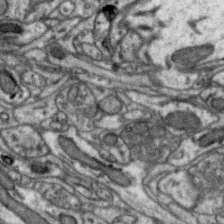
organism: Zebra finch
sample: Brain